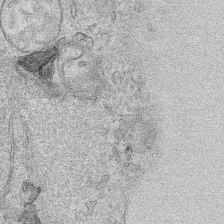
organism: Human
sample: Mitochondria in HCT116 cells